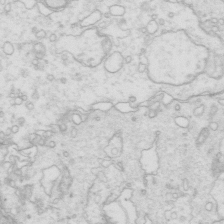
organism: Mouse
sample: Multiciliated cells